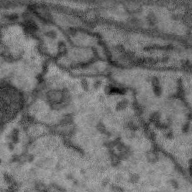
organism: Zebra finch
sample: Brain